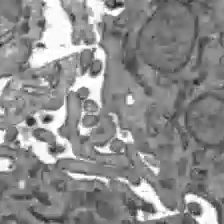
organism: C57BL Mouse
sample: Liver